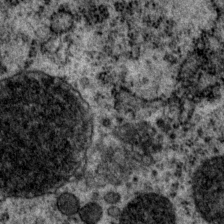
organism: P. pacificus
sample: Pharynx